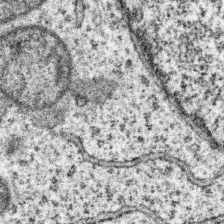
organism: Human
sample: HeLa cells